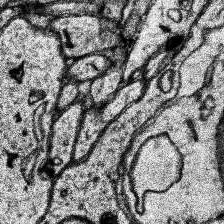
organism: Human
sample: Temporal Lobe